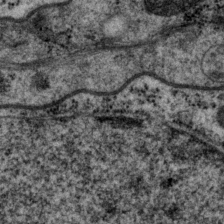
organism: P. pacificus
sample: Pharynx